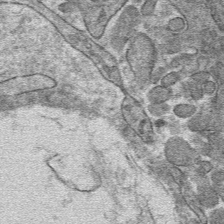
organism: Mouse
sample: Mouse hepatocytes